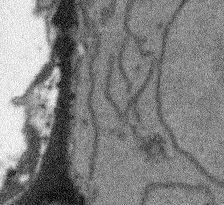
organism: Arabidopsis thaliana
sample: Root tip